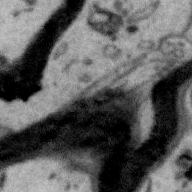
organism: Zebra finch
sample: Brain